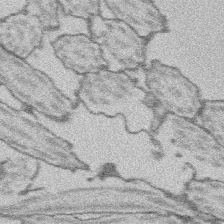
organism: Platynereis dumerilii